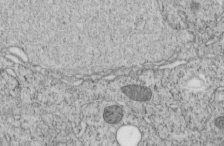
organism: C. elegans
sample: C. elegans embryo early stage